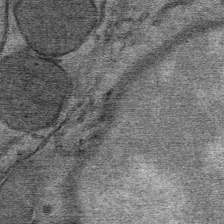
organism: Mouse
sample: Mouse Salivary gland